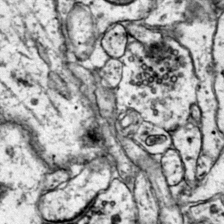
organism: Mouse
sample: Primary visual cortex